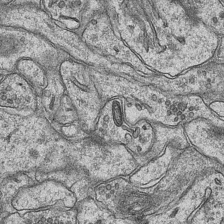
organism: Mouse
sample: CA1 Hippocampus